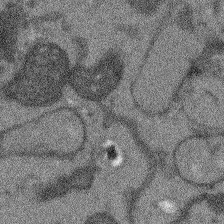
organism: Arabidopsis thaliana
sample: Root tip